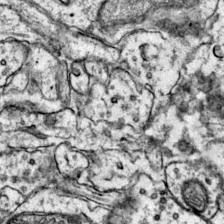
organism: Mouse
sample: Primary visual cortex